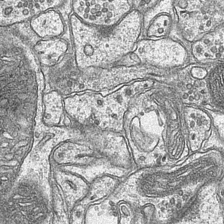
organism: Mouse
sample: CA1 Hippocampus